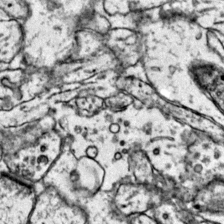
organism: Mouse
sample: Primary visual cortex